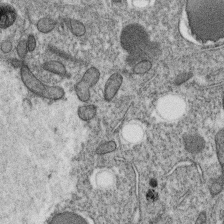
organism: C. elegans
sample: C. elegans oocyte; sperm cells